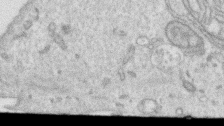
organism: Human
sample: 1205lu cells